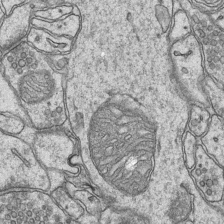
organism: Mouse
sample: CA1 Hippocampus